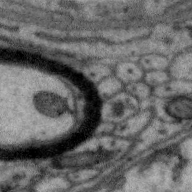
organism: Zebra finch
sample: Brain